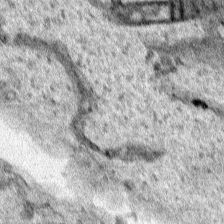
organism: Human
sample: Mitochondria in HCT116 cells